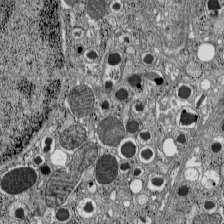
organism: C57BL Mouse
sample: Pancreatic islet